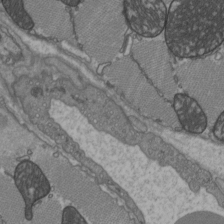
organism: C57BL Mouse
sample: Heart